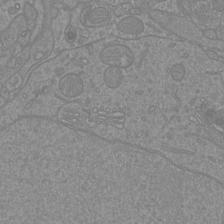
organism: Mouse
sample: Cortical neurons